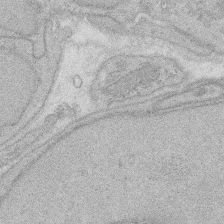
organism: Rat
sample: Salivary granule